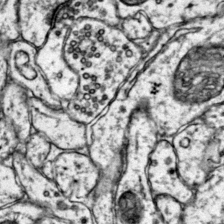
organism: Mouse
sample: Primary visual cortex